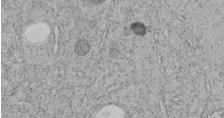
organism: C. elegans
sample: C. elegans embryo early stage